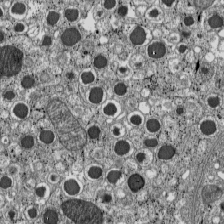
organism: C57BL Mouse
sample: Pancreatic islet